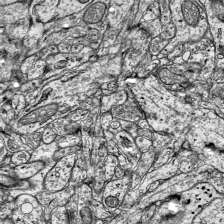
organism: Mouse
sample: Visual Cortex